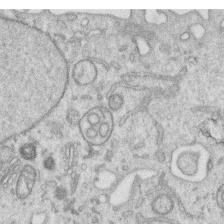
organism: Human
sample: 1205lu cells